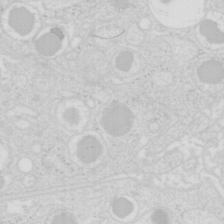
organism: Mouse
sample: Pancreas